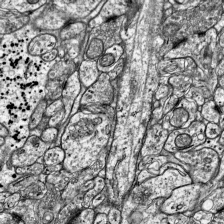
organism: Mouse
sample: Visual Cortex